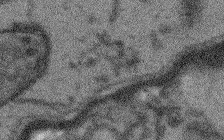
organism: Arabidopsis thaliana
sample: Root tip